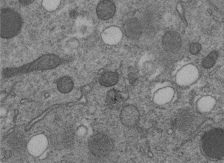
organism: C. elegans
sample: C. elegans embryo early stage